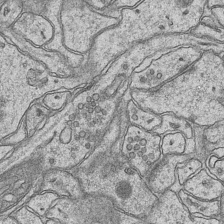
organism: Mouse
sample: CA1 Hippocampus